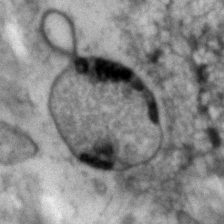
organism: Human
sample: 1205lu cells